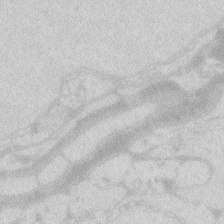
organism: Zebrafish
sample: Macrophage